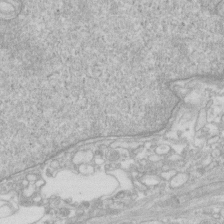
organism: Human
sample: Fibroblast cells